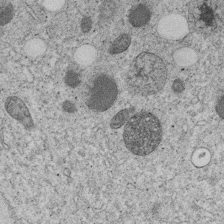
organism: C. elegans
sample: C. elegans embryo early stage